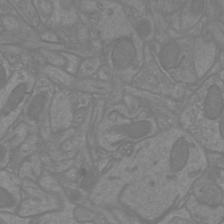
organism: Mouse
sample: Cortical neurons